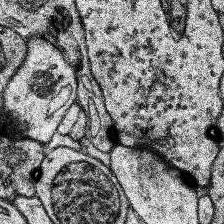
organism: Human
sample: Temporal Lobe